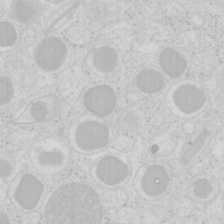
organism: Mouse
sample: Pancreas